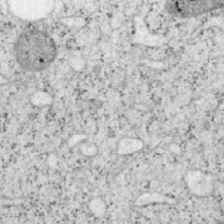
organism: Mouse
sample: OT-I killer T cells with ID8 ovarian cancer cells